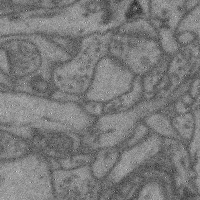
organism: Mouse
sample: Cerebral cortex